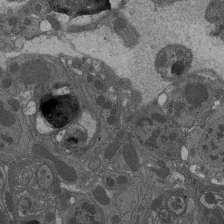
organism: Drosophila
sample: Antenna